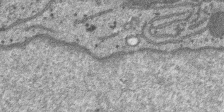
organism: Human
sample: Lung epithelial cells infected with SARS-CoV-2